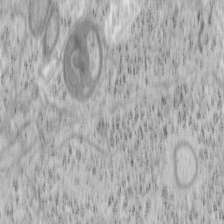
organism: Human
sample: HeLa cells